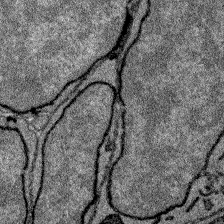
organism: Zebrafish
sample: Larval olfactory bulb